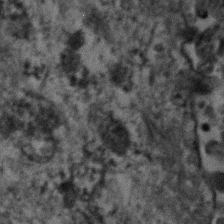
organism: Human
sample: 1205lu cells